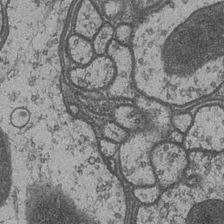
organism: Drosophila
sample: Optic medulla